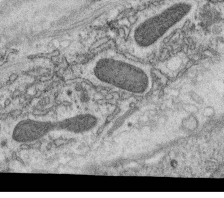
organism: C. elegans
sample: C. elegans oocyte; sperm cells